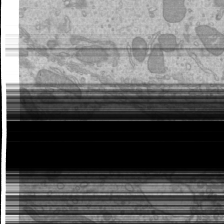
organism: Mouse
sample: Cilia; mouse epididymis